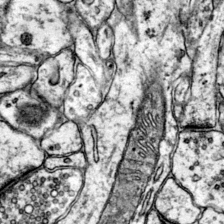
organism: Mouse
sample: Primary visual cortex